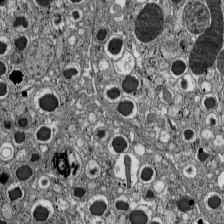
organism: C57BL Mouse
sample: Pancreatic islet